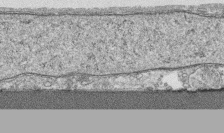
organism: Human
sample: CRL-1474